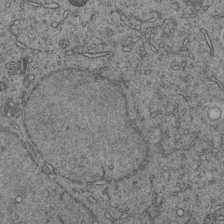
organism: C. elegans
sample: C. elegans embryo early stage